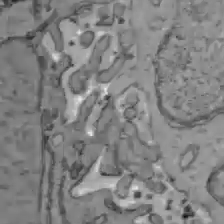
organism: C57BL Mouse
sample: Liver